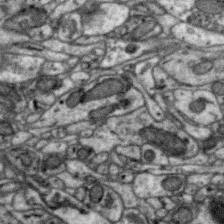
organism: Zebra finch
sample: Brain